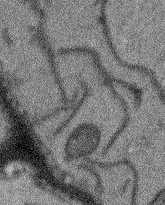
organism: Arabidopsis thaliana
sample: Root tip